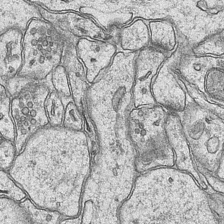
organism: Mouse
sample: CA1 Hippocampus